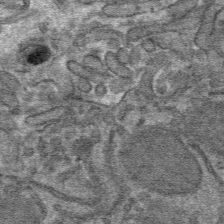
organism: Mouse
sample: Mouse hepatocytes